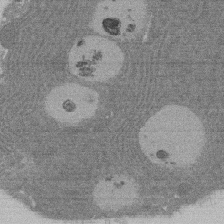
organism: Rat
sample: Salivary granule